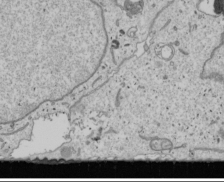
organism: Human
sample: Mitochondria in U2OS cells